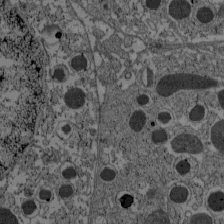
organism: C57BL Mouse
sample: Pancreatic islet